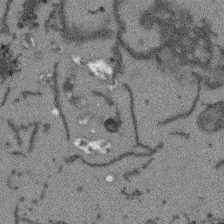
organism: Arabidopsis thaliana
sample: Root tip